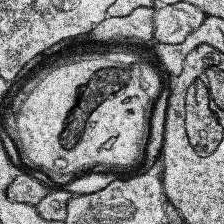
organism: Human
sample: Temporal Lobe